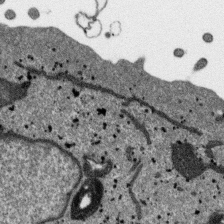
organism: Human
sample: Lung epithelial cells, uninfected (mock) control